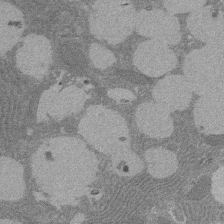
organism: Rat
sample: Salivary granule